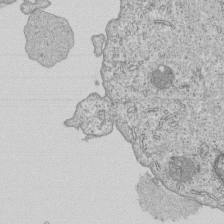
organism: Human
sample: MDA-MB-231 cells